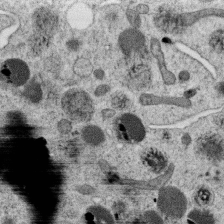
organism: C. elegans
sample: C. elegans oocyte; sperm cells